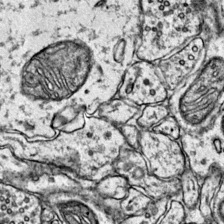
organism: Mouse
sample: Primary visual cortex